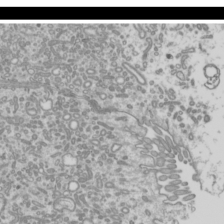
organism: Mouse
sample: Cilia; mouse epididymis